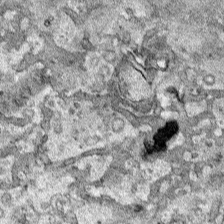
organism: Human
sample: Mitochondria in HCT116 cells